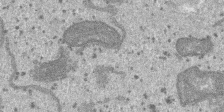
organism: Human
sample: Lung epithelial cells infected with SARS-CoV-2